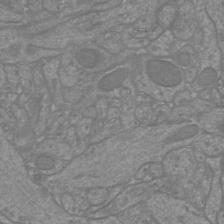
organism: Mouse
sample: Cortical neurons